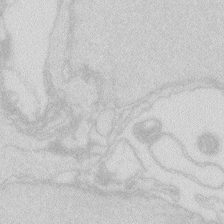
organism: Zebrafish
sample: Macrophage